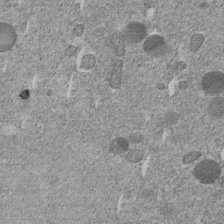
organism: C. elegans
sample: C. elegans embryo early stage